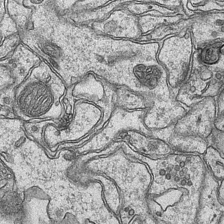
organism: Mouse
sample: CA1 Hippocampus